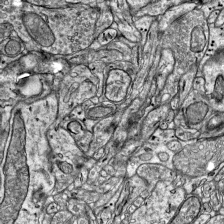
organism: Mouse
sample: Visual Cortex